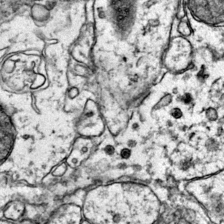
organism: Mouse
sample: Primary visual cortex